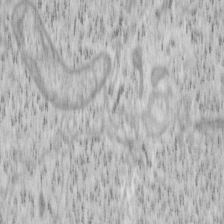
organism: Human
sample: HeLa cells